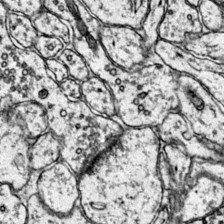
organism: Mouse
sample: Primary visual cortex